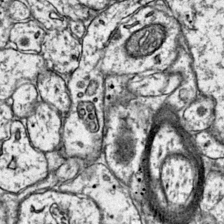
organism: Mouse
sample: Primary visual cortex